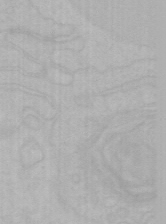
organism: Mouse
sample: Choroid plexus